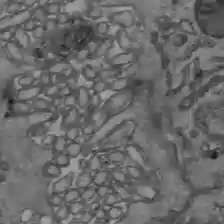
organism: C57BL Mouse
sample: Liver